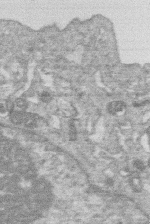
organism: Human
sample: Macrophage cells